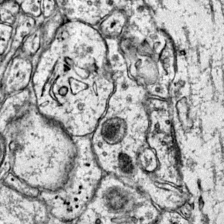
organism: Mouse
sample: Primary visual cortex